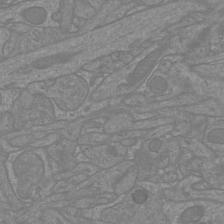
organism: Mouse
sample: Cortical neurons